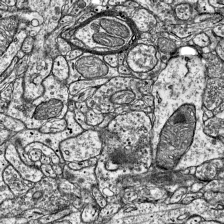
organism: Mouse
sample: Visual Cortex